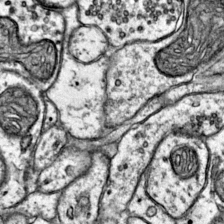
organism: Mouse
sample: Primary visual cortex